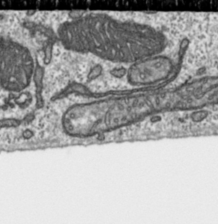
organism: Toxoplasma gondii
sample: Parasites in a vacuole inside a host cell